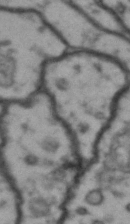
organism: Drosophila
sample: Brain